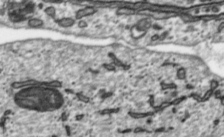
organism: Toxoplasma gondii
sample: Parasites in a vacuole inside a host cell